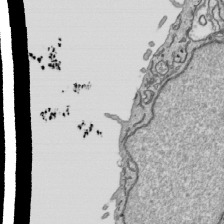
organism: Human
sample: Mitochondria in HCT116 cells